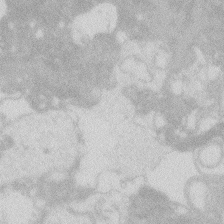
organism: Zebrafish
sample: Macrophage